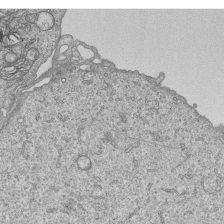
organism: Human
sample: MDA-MB-231 cells